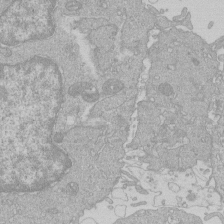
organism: Human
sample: Macrophage cells